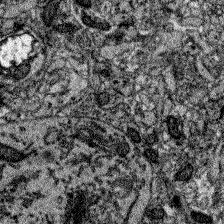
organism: Zebrafish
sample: Larval olfactory bulb